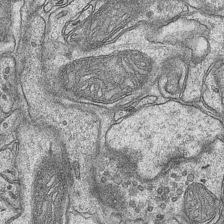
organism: Mouse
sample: CA1 Hippocampus